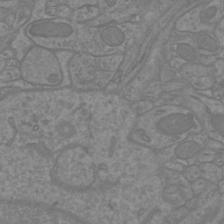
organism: Mouse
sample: Cortical neurons